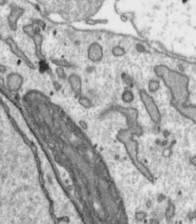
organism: Toxoplasma gondii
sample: Parasites in a vacuole inside a host cell